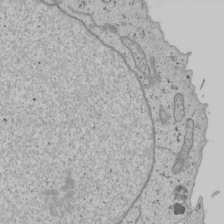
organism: Human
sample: Mitochondria in U2OS cells